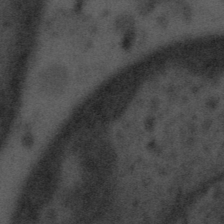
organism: Tuwongella immobilis